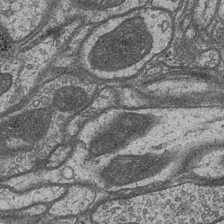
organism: Drosophila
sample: Optic medulla